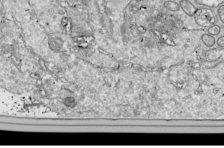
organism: Drosophila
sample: Cell division; meiosis; drosophila spermatocytes